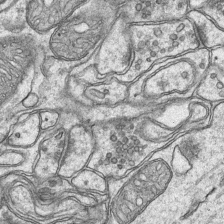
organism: Mouse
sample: CA1 Hippocampus